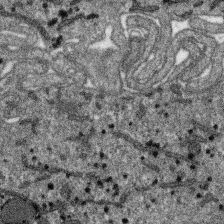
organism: Human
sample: Lung epithelial cells infected with SARS-CoV-2